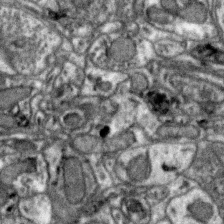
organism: Zebra finch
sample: Brain